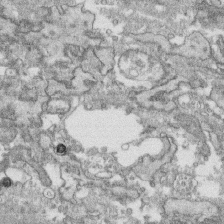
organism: Human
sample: CRL-1474